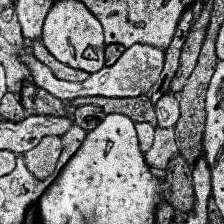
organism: Human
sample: Temporal Lobe